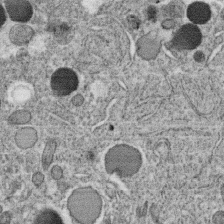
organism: C. elegans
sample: C. elegans oocyte; sperm cells